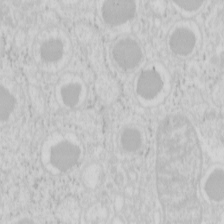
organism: Mouse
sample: Pancreas